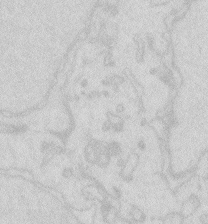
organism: Zebrafish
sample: Macrophage